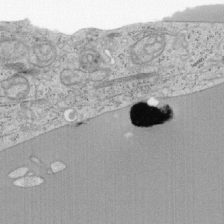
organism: Human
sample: HeLa cells